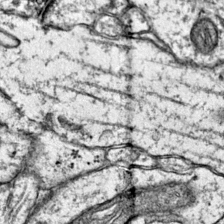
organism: Mouse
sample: Primary visual cortex